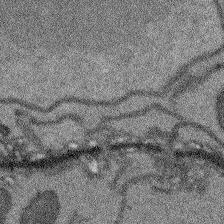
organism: Arabidopsis thaliana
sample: Root tip